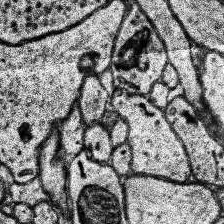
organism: Human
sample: Temporal Lobe